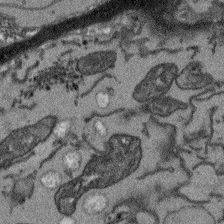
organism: Arabidopsis thaliana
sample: Root tip